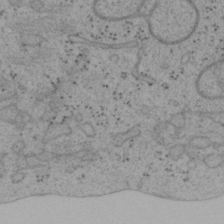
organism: Human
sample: HeLa cells